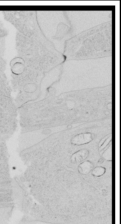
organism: Human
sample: Mitochondria in HCT116 cells